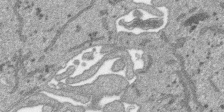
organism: Human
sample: Lung epithelial cells infected with SARS-CoV-2